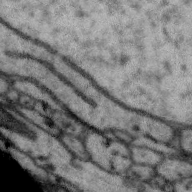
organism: Zebra finch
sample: Brain